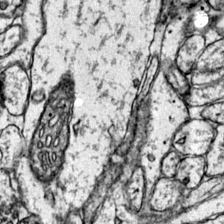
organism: Mouse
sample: Primary visual cortex